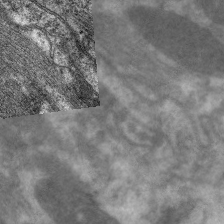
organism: C. elegans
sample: Pharynx